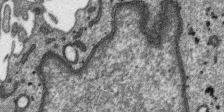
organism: Human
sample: Lung epithelial cells infected with SARS-CoV-2